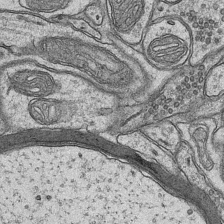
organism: Mouse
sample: CA1 Hippocampus